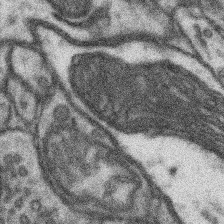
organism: Mouse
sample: Somatosensory cortex neuropil